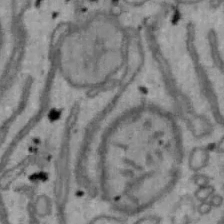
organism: Mouse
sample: Liver